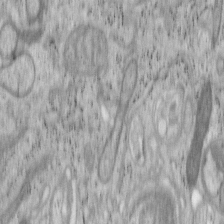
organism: Human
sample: HeLa cells